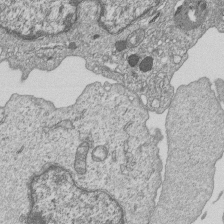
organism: Human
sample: MDA-MB-231 cells